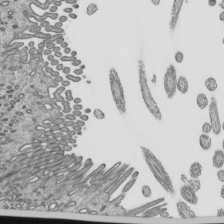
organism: Mouse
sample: Mouse epididymis efferent ductule cilia